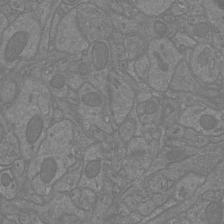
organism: Mouse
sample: Cortical neurons